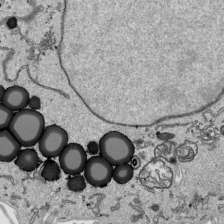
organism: Human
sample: Mitochondria in HCT116 cells